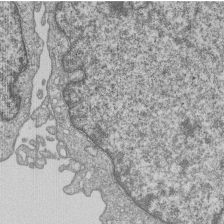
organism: Human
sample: MDA-MB-231 cells